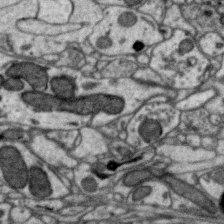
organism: Zebra finch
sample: Brain